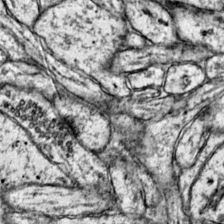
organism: Mouse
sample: Primary visual cortex